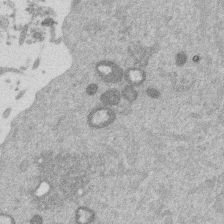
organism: Mouse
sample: Dividing mouse embryo 1 cell stage